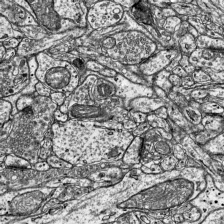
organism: Mouse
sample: Visual Cortex